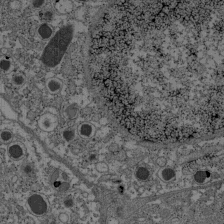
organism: C57BL Mouse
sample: Pancreatic islet